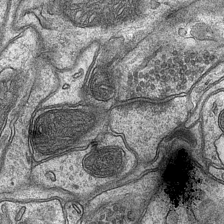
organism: Mouse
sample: CA1 Hippocampus